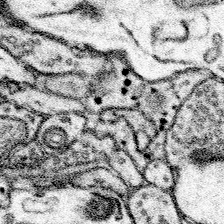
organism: Mouse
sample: Somatosensory cortex neuropil